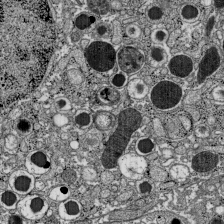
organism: C57BL Mouse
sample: Pancreatic islet